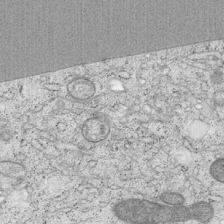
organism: African green monkey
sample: COS-7 cells